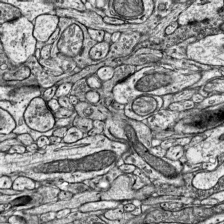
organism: Mouse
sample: Visual Cortex